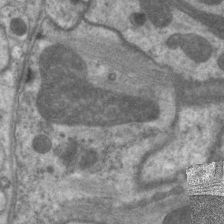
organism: C. elegans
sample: Pharynx